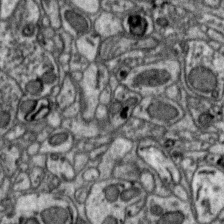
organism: Zebra finch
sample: Brain